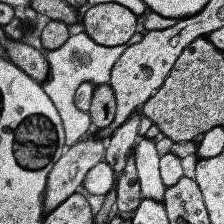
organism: Human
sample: Temporal Lobe